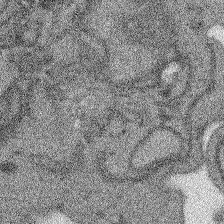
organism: Human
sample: HeLa cells